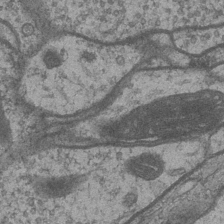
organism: Drosophila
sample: Optic medulla